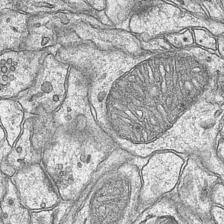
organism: Mouse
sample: CA1 Hippocampus